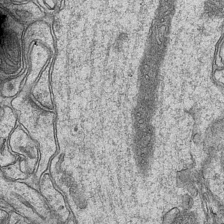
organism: Mouse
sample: CA1 Hippocampus